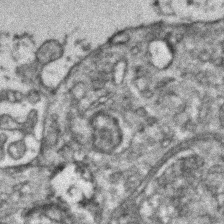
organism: Zebrafish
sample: Zebrafish embryo